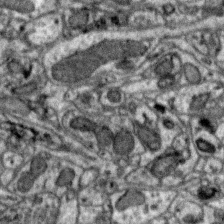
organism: Zebra finch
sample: Brain